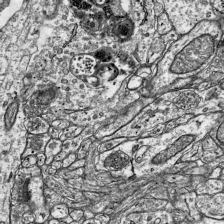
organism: Mouse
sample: Visual Cortex